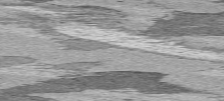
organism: C57BL Mouse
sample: Heart